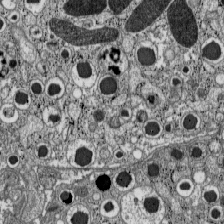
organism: C57BL Mouse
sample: Pancreatic islet